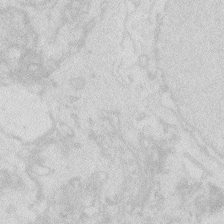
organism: Zebrafish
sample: Macrophage